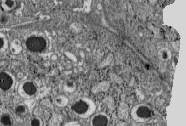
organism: C57BL Mouse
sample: Pancreatic islet